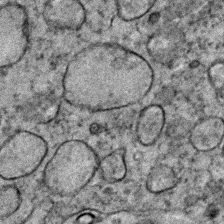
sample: Trachea